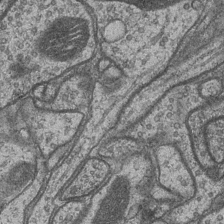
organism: Drosophila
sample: Optic medulla